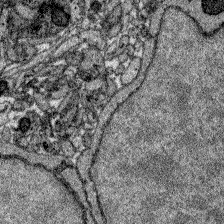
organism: Zebrafish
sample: Larval olfactory bulb